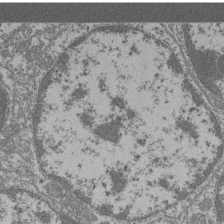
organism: Mouse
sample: Glomerulus